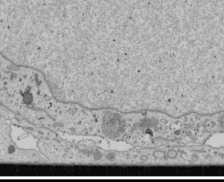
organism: Human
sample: Mitochondria in U2OS cells